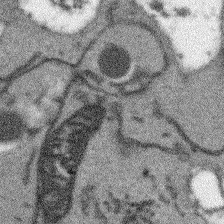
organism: Arabidopsis thaliana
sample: Root tip